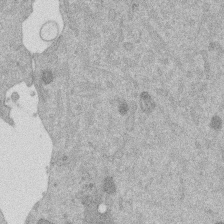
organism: Mouse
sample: Dividing mouse embryo 1 cell stage